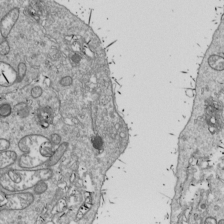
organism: Drosophila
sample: Cell division; meiosis; drosophila spermatocytes